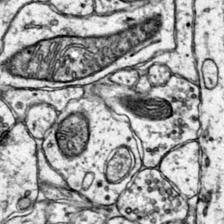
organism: Mouse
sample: Primary visual cortex